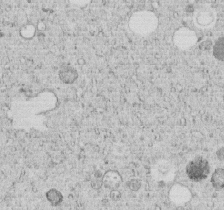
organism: C. elegans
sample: C. elegans embryo early stage